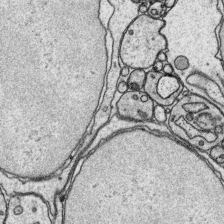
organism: Platynereis dumerilii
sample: Parapodia